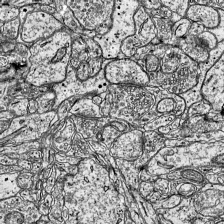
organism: Mouse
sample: Visual Cortex